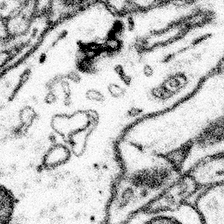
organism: Mouse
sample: Somatosensory cortex neuropil